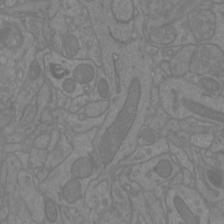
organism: Mouse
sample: Cortical neurons